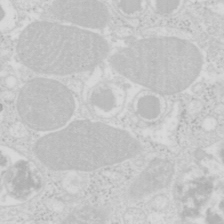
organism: Mouse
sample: Pancreas